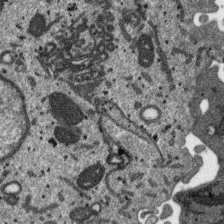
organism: Human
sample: Lung epithelial cells infected with SARS-CoV-2